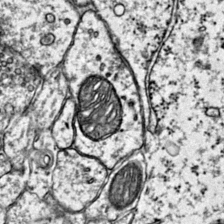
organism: Mouse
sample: Primary visual cortex